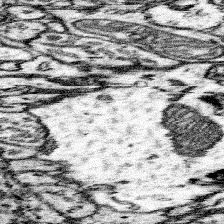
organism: Mouse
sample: Somatosensory cortex neuropil